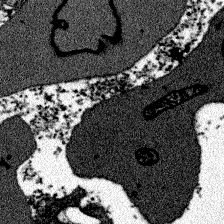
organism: Zebrafish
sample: Larval olfactory bulb